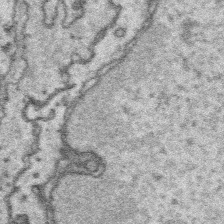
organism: Platynereis dumerilii